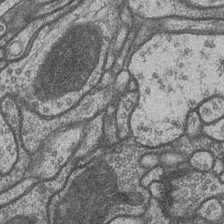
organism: Drosophila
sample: Optic medulla